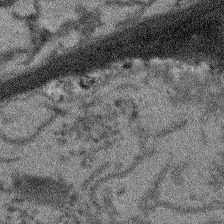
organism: Arabidopsis thaliana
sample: Root tip